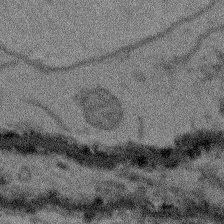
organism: Arabidopsis thaliana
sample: Root tip